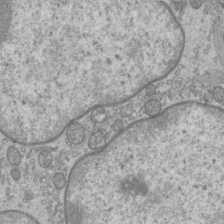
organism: Mouse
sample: Cilia; mouse epididymis